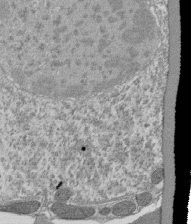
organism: Tetrahymena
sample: Cilia in tetrahymena